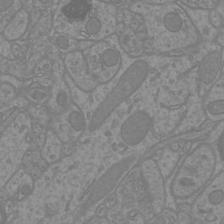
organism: Mouse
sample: Cortical neurons